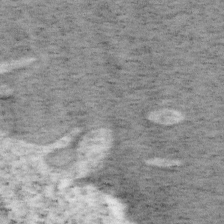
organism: Mouse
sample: OT-I killer T cells with ID8 ovarian cancer cells